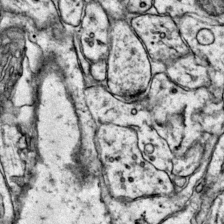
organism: Mouse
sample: Primary visual cortex